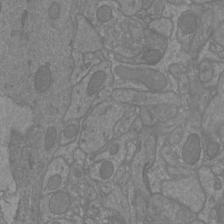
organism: Mouse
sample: Cortical neurons